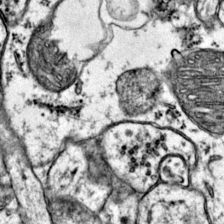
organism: Mouse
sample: Primary visual cortex